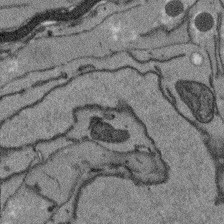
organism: Arabidopsis thaliana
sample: Root tip